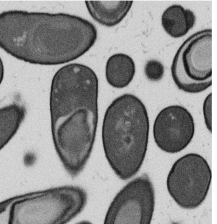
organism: B. subtilis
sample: Bacterial spore